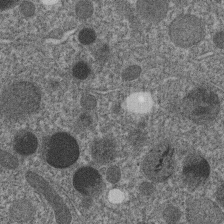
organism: C. elegans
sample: C. elegans embryo early stage